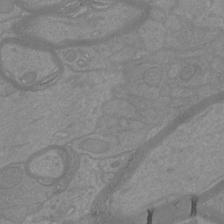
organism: Mouse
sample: Cortical neurons